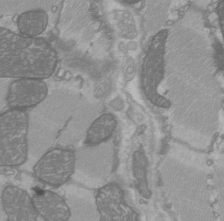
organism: C57BL Mouse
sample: Heart